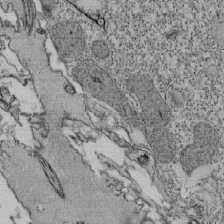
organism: Tetrahymena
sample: Cilia in tetrahymena